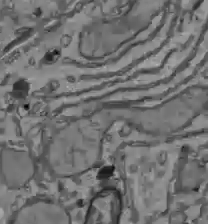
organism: C57BL Mouse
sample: Liver